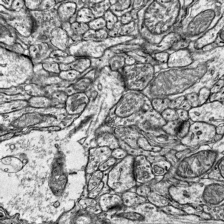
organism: Mouse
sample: Visual Cortex